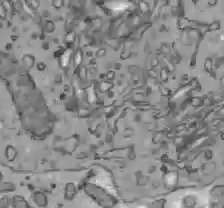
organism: C57BL Mouse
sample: Liver